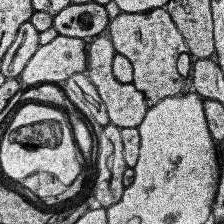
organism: Human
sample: Temporal Lobe